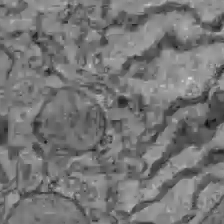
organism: C57BL Mouse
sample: Liver